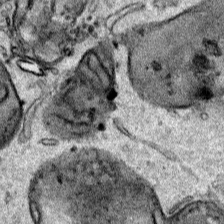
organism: Human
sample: Mitochondria in HCT116 cells